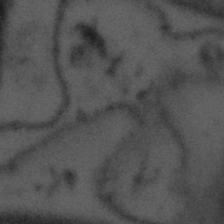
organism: Tuwongella immobilis